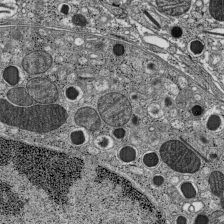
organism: C57BL Mouse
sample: Pancreatic islet